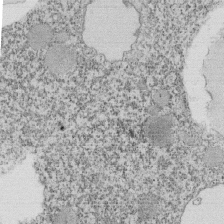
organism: Tetrahymena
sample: Cilia in tetrahymena